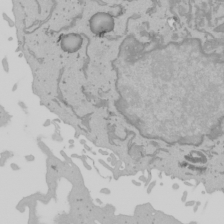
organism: Mouse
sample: Cancer cell death in ED-1 cells